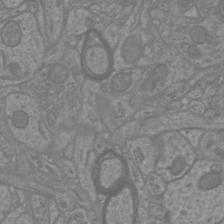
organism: Mouse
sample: Cortical neurons